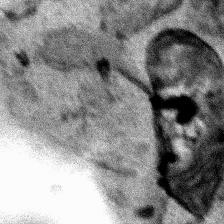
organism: Human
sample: Mitochondria in HCT116 cells